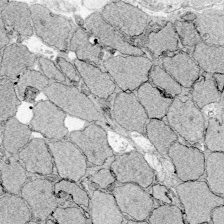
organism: Zebrafish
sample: Whole-Brain